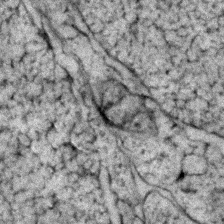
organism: Zebrafish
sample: Zebrafish embryo